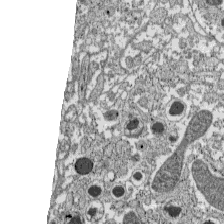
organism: C57BL Mouse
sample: Pancreatic islet